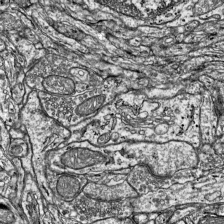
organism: Mouse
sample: Visual Cortex